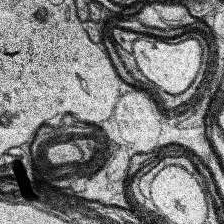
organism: Human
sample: Temporal Lobe